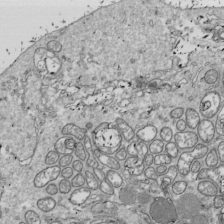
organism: Drosophila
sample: Cell division; meiosis; drosophila spermatocytes